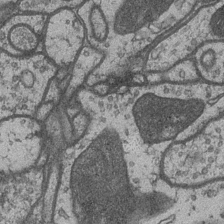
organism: Drosophila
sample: Optic medulla